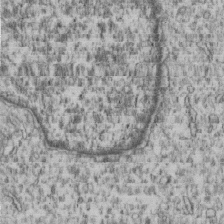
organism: Human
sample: MDA-MB-231 cells